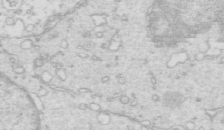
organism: Mouse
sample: Multiciliated cells